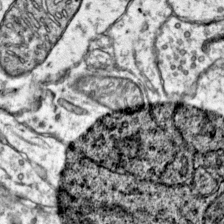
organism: Mouse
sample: Primary visual cortex